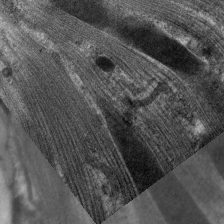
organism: C. elegans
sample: Pharynx